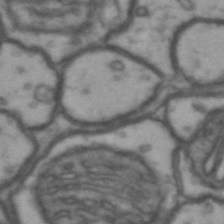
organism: Drosophila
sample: Brain